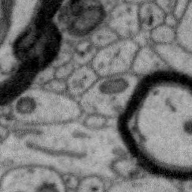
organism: Zebra finch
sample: Brain